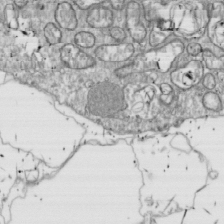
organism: Drosophila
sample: Cell division; meiosis; drosophila spermatocytes